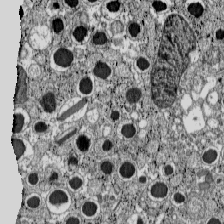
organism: C57BL Mouse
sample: Pancreatic islet